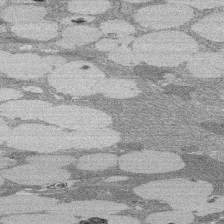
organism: Rat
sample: Salivary granule